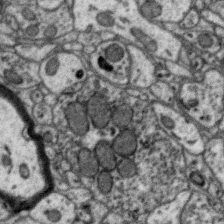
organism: Zebra finch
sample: Brain